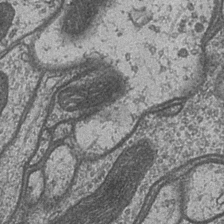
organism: Drosophila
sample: Optic medulla